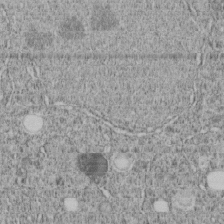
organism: C. elegans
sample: C. elegans embryo early stage